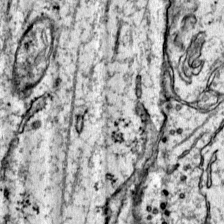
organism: Mouse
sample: Primary visual cortex